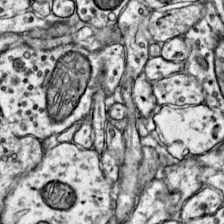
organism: Mouse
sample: Primary visual cortex